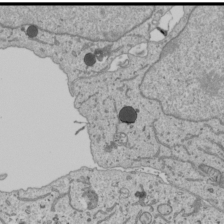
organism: Human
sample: Mitochondria in U2OS cells